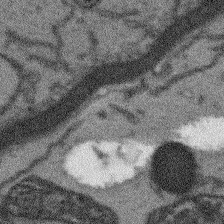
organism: Arabidopsis thaliana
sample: Root tip